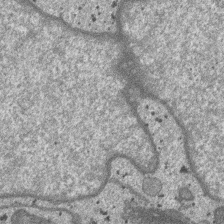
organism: Human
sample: Lung epithelial cells infected with SARS-CoV-2